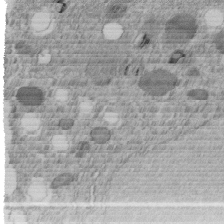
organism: C. elegans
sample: C. elegans embryo early stage